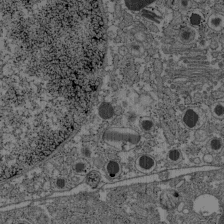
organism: C57BL Mouse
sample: Pancreatic islet